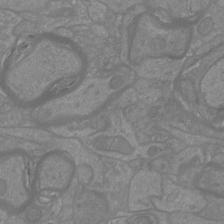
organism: Mouse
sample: Cortical neurons